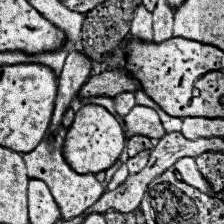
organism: Human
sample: Temporal Lobe